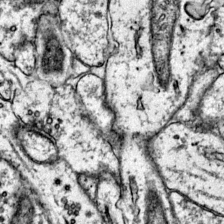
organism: Mouse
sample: Primary visual cortex